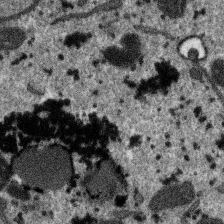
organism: Human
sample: Lung epithelial cells infected with SARS-CoV-2